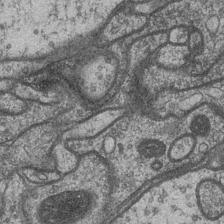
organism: Drosophila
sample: Optic medulla